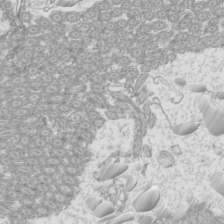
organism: Mouse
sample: Cilia; mouse epididymis